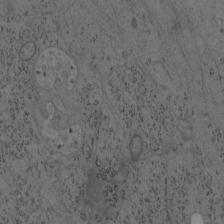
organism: Mouse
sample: OT-I killer T cells with ID8 ovarian cancer cells